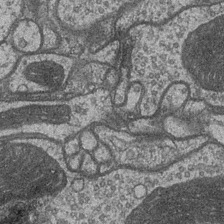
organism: Drosophila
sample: Optic medulla